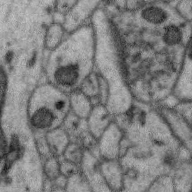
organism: Zebra finch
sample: Brain